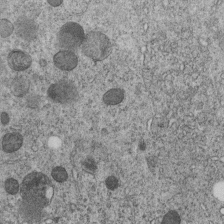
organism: C. elegans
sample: C. elegans embryo early stage